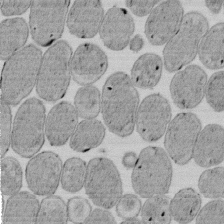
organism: E. coli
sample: Bacterial nucleoid